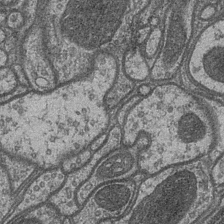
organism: Drosophila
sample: Optic medulla